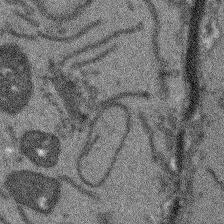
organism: Arabidopsis thaliana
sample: Root tip